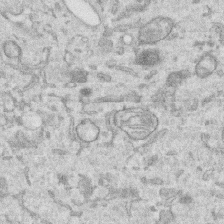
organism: Human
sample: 1205lu cells